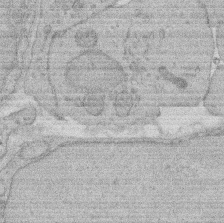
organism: Rat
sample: Salivary granule